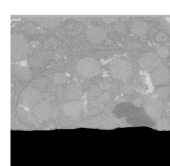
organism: C. elegans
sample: C. elegans oocyte; sperm cells